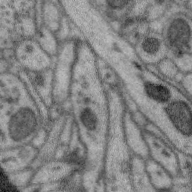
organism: Zebra finch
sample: Brain